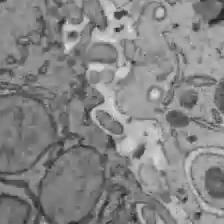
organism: C57BL Mouse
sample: Liver